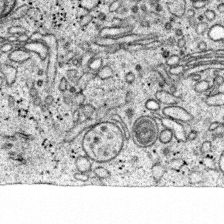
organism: Human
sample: HeLa cells